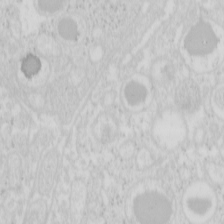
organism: Mouse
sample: Pancreas